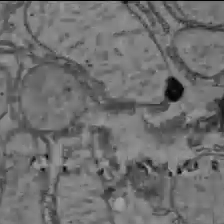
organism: C57BL Mouse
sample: Liver